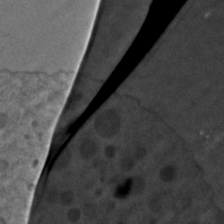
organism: C. elegans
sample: C. elegans embryo